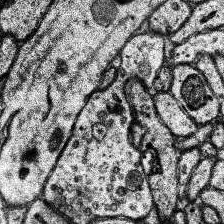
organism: Human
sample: Temporal Lobe